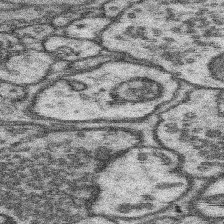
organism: Mouse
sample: Somatosensory cortex neuropil